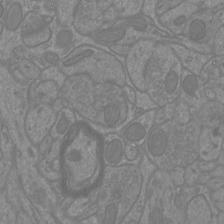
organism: Mouse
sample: Cortical neurons